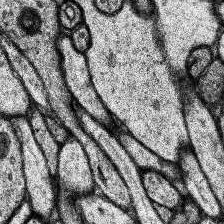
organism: Human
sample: Temporal Lobe